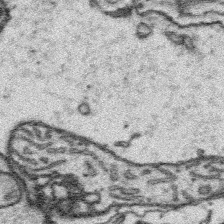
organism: Platynereis dumerilii